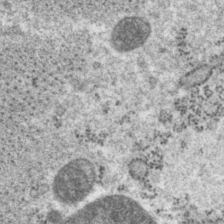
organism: P. pacificus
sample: Pharynx